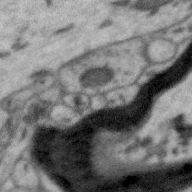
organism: Zebra finch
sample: Brain